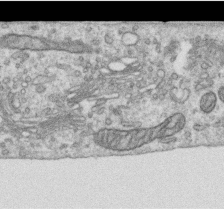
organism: Human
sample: Centriole in RPE cells